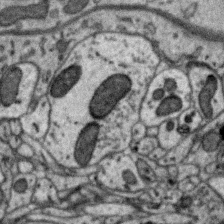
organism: Zebra finch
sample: Brain